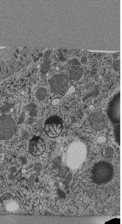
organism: C. elegans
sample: C. elegans pharynx